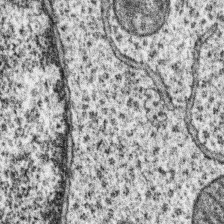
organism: Human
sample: HeLa cells